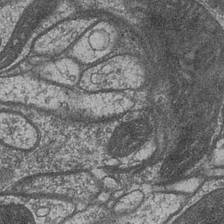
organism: Drosophila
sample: Optic medulla